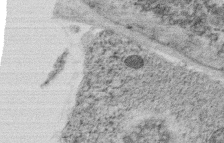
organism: C. elegans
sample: C. elegans oocyte; sperm cells